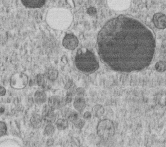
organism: C. elegans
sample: C. elegans embryo early stage